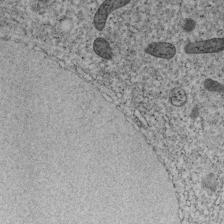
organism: C. elegans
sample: C. elegans embryo early stage